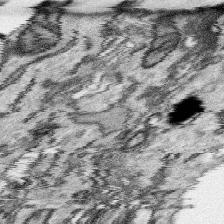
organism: Human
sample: HeLa cells